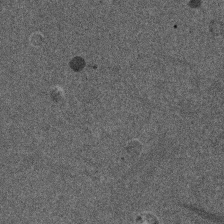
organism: Mouse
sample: Dividing mouse embryo 1 cell stage